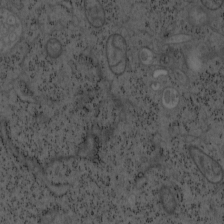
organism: Mouse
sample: OT-I killer T cells with ID8 ovarian cancer cells